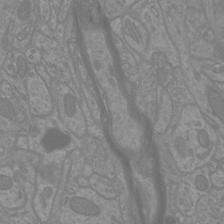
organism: Mouse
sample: Cortical neurons